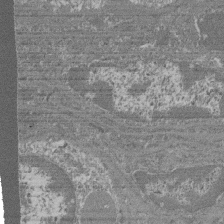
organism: Mouse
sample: Glomerulus